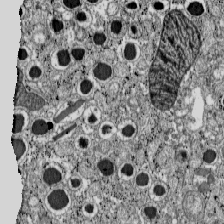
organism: C57BL Mouse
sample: Pancreatic islet